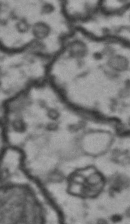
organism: Drosophila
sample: Brain